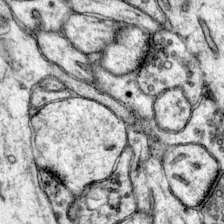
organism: Mouse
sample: Primary visual cortex